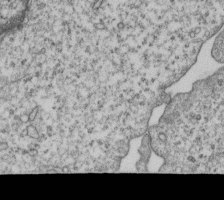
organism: Human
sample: MDA-MB-231 cells